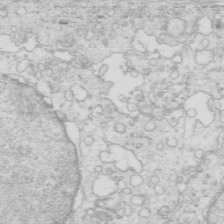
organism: Mouse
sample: Multiciliated cells